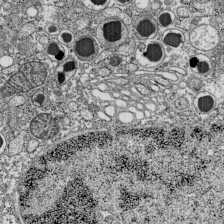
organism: C57BL Mouse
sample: Pancreatic islet